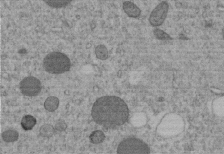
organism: C. elegans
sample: C. elegans embryo early stage